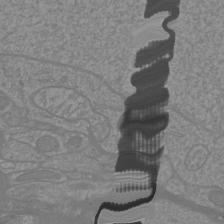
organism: Mouse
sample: Cortical neurons